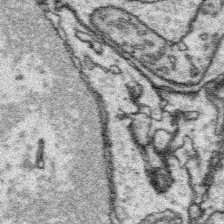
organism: Platynereis dumerilii